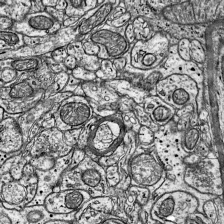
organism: Mouse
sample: Visual Cortex